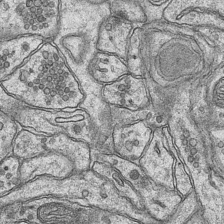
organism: Mouse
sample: CA1 Hippocampus